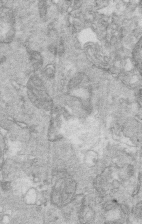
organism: Mouse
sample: Multiciliated cells